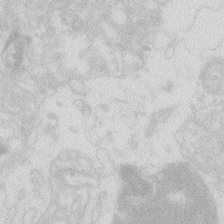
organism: Zebrafish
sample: Macrophage